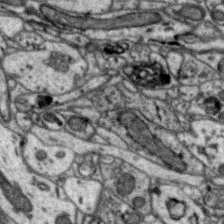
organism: Zebra finch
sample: Brain